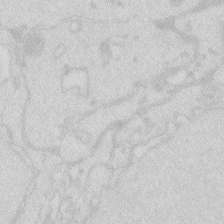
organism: Zebrafish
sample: Macrophage